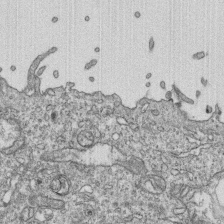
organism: Human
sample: HeLa cell HIV synapse